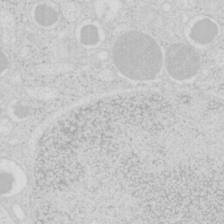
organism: Mouse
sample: Pancreas